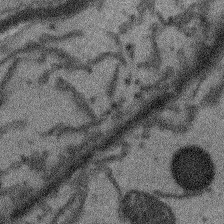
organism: Arabidopsis thaliana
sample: Root tip